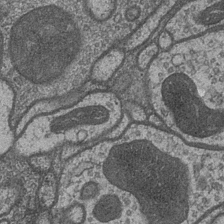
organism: Drosophila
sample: Optic medulla